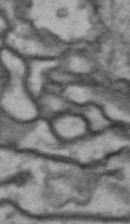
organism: Drosophila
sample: Brain